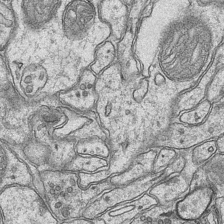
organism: Mouse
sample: CA1 Hippocampus